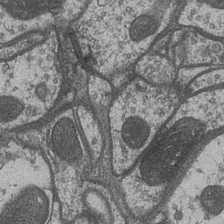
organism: Drosophila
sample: Optic medulla